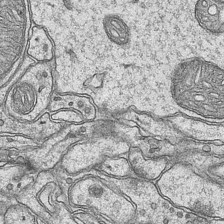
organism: Mouse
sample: CA1 Hippocampus